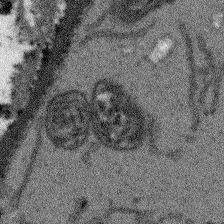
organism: Arabidopsis thaliana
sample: Root tip